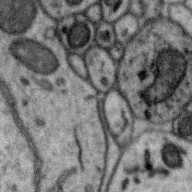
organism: Zebra finch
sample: Brain